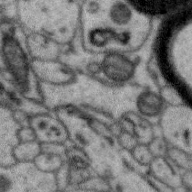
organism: Zebra finch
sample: Brain